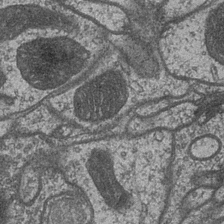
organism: Drosophila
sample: Optic medulla